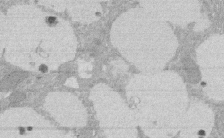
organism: Rat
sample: Salivary granule